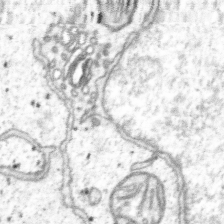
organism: Human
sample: HeLa cells